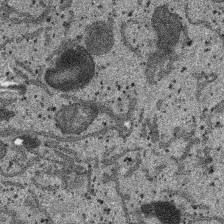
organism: Human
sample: Lung epithelial cells infected with SARS-CoV-2